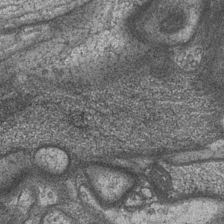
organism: Drosophila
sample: Optic medulla